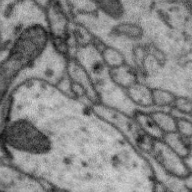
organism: Zebra finch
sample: Brain